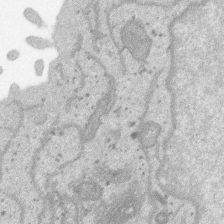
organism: Human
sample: Lung epithelial cells infected with SARS-CoV-2